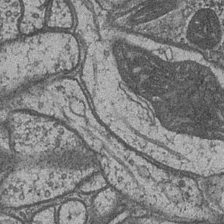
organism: Drosophila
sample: Optic medulla